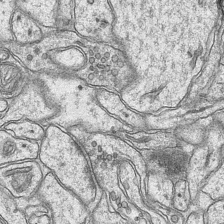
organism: Mouse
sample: CA1 Hippocampus